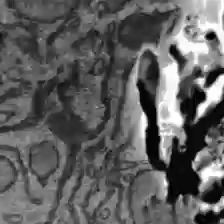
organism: C57BL Mouse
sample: Liver